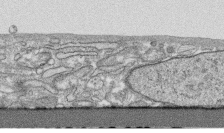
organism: Human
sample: CRL-1474